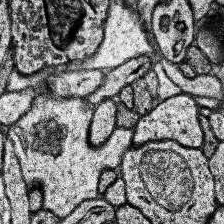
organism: Human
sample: Temporal Lobe